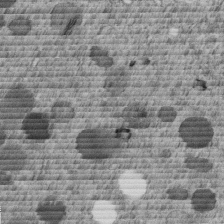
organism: C. elegans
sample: C. elegans embryo early stage